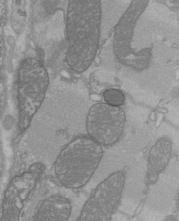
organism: C57BL Mouse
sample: Heart